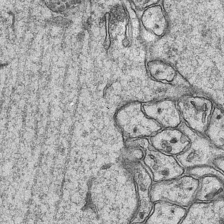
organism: Mouse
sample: CA1 Hippocampus